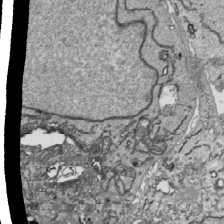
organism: Human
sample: Mitochondria in HCT116 cells